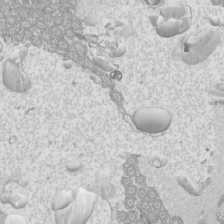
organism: Mouse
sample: Cilia; mouse epididymis